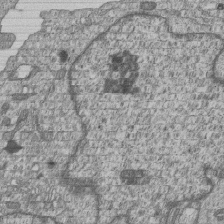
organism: Human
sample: MDA-MB-231 cells